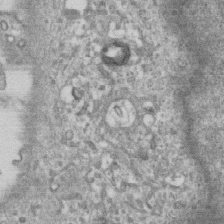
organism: Human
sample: Centriole in RPE cells